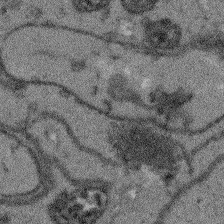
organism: Arabidopsis thaliana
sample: Root tip